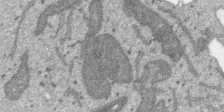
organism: Human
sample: Lung epithelial cells infected with SARS-CoV-2